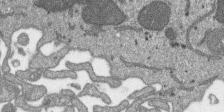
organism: Human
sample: Lung epithelial cells infected with SARS-CoV-2